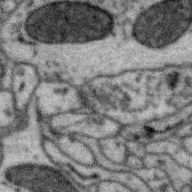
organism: Zebra finch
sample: Brain